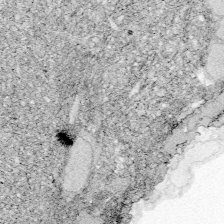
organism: Zebrafish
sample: Whole-Brain